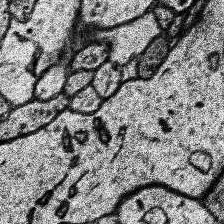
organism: Human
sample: Temporal Lobe